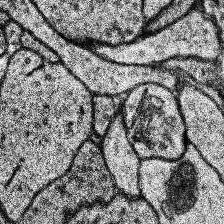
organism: Human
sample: Temporal Lobe